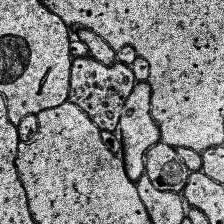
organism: Human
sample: Temporal Lobe